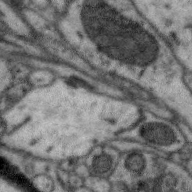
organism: Zebra finch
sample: Brain